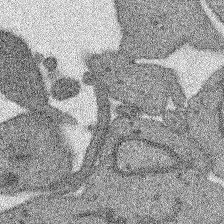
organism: Human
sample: HeLa cells